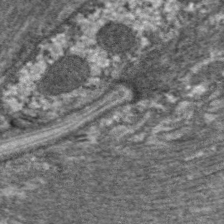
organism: C. elegans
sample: Pharynx